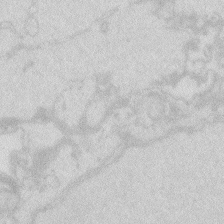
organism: Zebrafish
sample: Macrophage